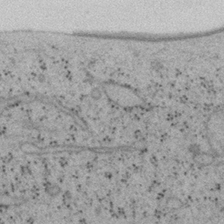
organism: Human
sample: HeLa cells